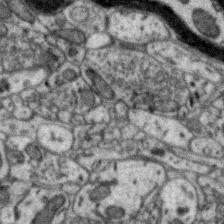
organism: Zebra finch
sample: Brain